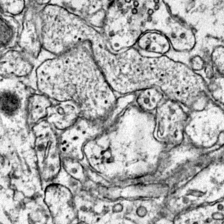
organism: Mouse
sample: Primary visual cortex